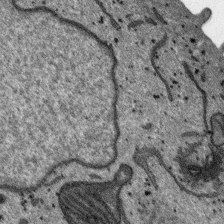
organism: Human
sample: Lung epithelial cells, uninfected (mock) control